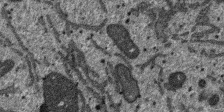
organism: Human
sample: Lung epithelial cells infected with SARS-CoV-2